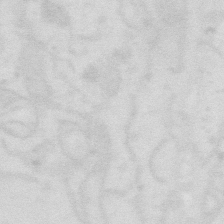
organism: Human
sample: HeLa cells